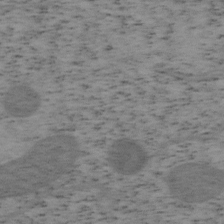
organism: Mouse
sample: OT-I killer T cells with ID8 ovarian cancer cells